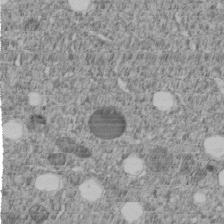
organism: C. elegans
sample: C. elegans embryo early stage